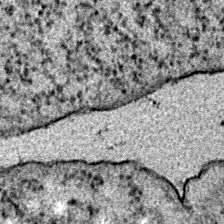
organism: E. coli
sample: E. Coli Bacteria